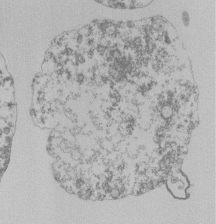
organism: Mouse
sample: Activated Pmel transgenic CD8+ T Cells